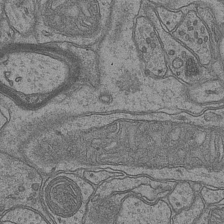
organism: Mouse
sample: CA1 Hippocampus